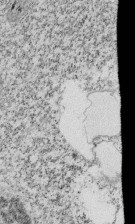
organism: Tetrahymena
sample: Cilia in tetrahymena